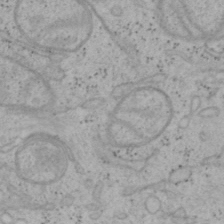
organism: Human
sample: HeLa cells